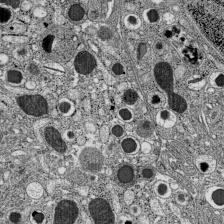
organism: C57BL Mouse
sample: Pancreatic islet